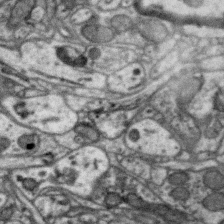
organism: Zebra finch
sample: Brain